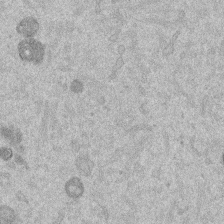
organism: Mouse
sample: Dividing mouse embryo 1 cell stage